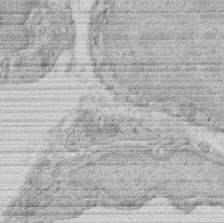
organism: Rat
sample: Salivary granule